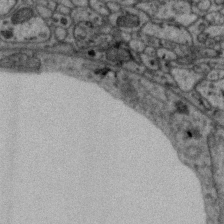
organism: Zebra finch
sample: Brain